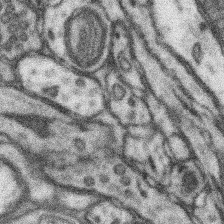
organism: Mouse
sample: Somatosensory cortex neuropil